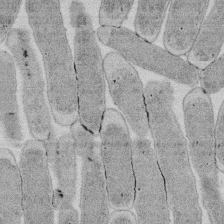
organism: E. coli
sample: Bacterial nucleoid